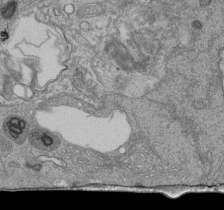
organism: Human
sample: Retinal organoid Rod and Cone cells